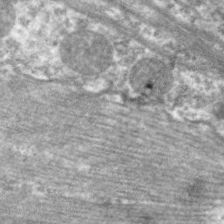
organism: C. elegans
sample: Pharynx